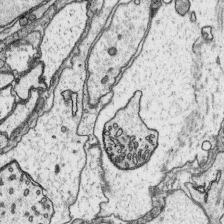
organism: Platynereis dumerilii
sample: Parapodia